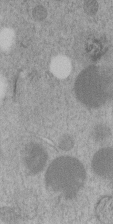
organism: C. elegans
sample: C. elegans embryo early stage